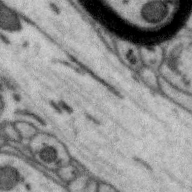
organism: Zebra finch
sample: Brain